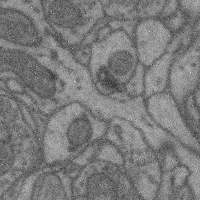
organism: Mouse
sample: Cerebral cortex